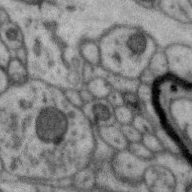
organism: Zebra finch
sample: Brain